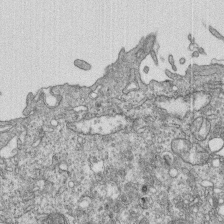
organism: Human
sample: HeLa cell HIV synapse